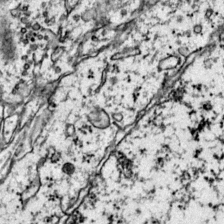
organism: Mouse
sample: Primary visual cortex